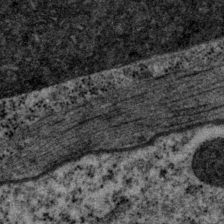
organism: P. pacificus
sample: Pharynx